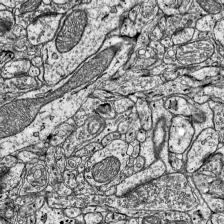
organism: Mouse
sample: Visual Cortex